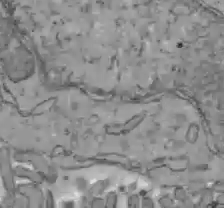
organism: C57BL Mouse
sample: Liver